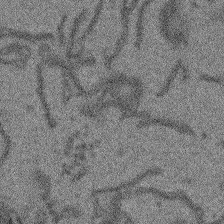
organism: Arabidopsis thaliana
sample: Root tip